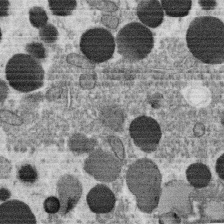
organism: C. elegans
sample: C. elegans oocyte; sperm cells